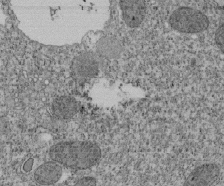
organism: Tetrahymena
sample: Cilia in tetrahymena